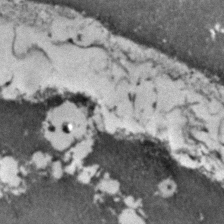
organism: Zebrafish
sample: Zebrafish embryo